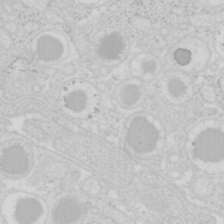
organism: Mouse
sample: Pancreas